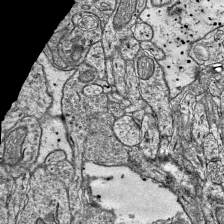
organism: Mouse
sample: Visual Cortex